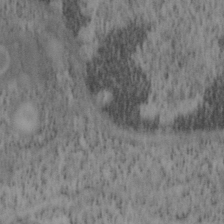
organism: Mouse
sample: OT-I killer T cells with ID8 ovarian cancer cells